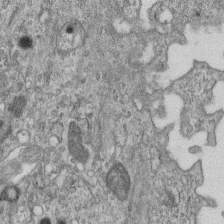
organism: Mouse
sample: Centriole in ependymal cells